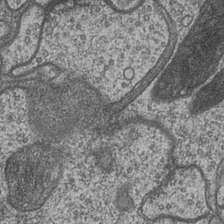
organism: Drosophila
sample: Optic medulla